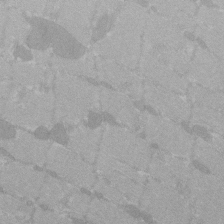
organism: C57BL Mouse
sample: Tibialis anterior muscle cell